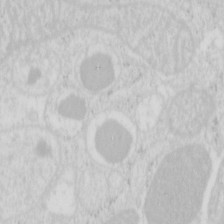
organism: Mouse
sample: Pancreas